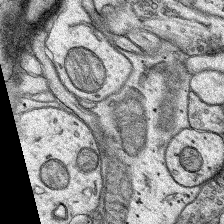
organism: Rat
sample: Hippocampus